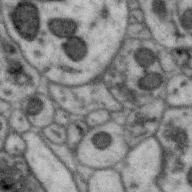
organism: Zebra finch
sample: Brain